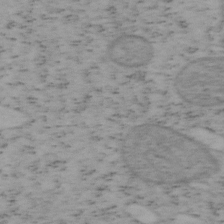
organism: Mouse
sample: OT-I killer T cells with ID8 ovarian cancer cells